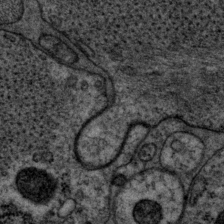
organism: P. pacificus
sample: Pharynx